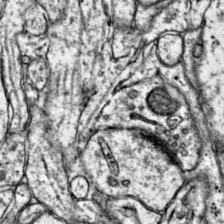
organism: Mouse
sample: Primary visual cortex